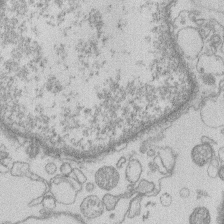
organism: Human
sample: Macrophage cells